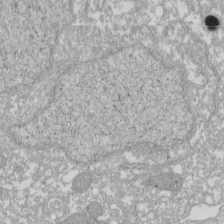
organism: Xenopus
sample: Cilia; centrioles in frog embryo cells